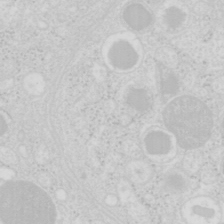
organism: Mouse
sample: Pancreas